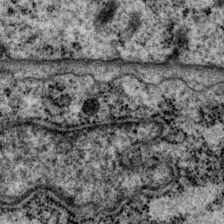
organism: P. pacificus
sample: Pharynx